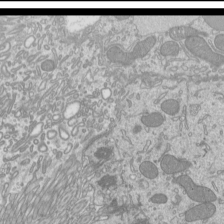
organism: Mouse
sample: Cilia; mouse epididymis